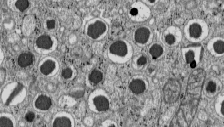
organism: C57BL Mouse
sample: Pancreatic islet